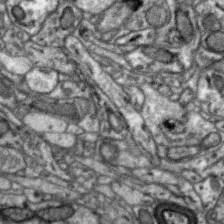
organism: Zebra finch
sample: Brain